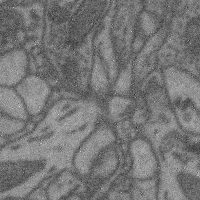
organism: Mouse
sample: Cerebral cortex